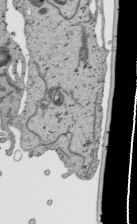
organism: Human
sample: Mitochondria in HCT116 cells